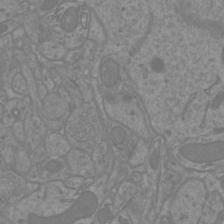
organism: Mouse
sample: Cortical neurons